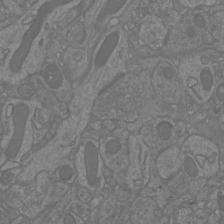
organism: Mouse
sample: Cortical neurons